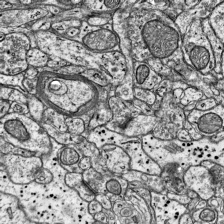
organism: Mouse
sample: Visual Cortex